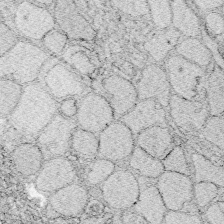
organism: Zebrafish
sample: Whole-Brain